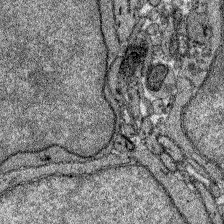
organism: Zebrafish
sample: Larval olfactory bulb